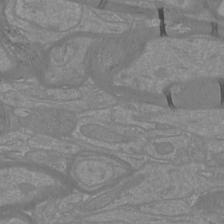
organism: Mouse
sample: Cortical neurons